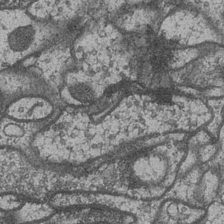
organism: Drosophila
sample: Optic medulla